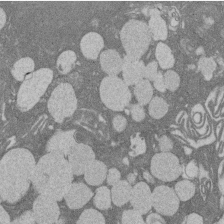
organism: Rat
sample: Salivary granule